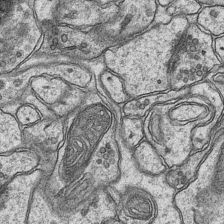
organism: Mouse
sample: CA1 Hippocampus